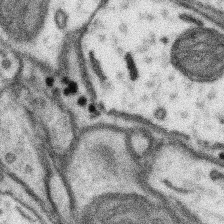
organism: Mouse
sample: Somatosensory cortex neuropil